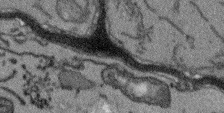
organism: Arabidopsis thaliana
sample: Root tip